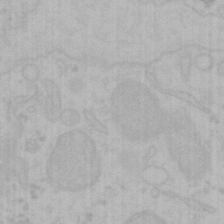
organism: Mouse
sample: Choroid plexus